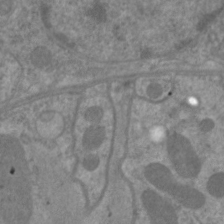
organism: C. elegans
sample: Pharynx